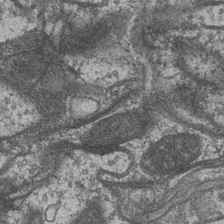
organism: Drosophila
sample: Optic medulla